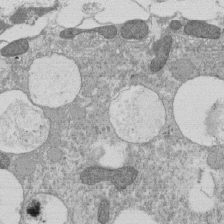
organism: Tetrahymena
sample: Cilia in tetrahymena